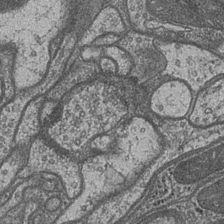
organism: Drosophila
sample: Optic medulla